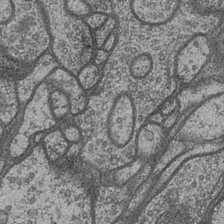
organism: Drosophila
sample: Optic medulla